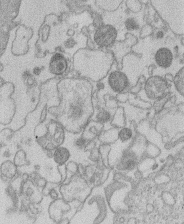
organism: Human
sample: Macrophage cells